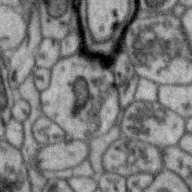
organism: Zebra finch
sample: Brain